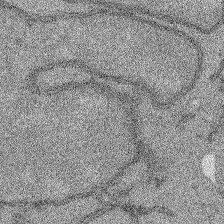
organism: Human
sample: HeLa cells